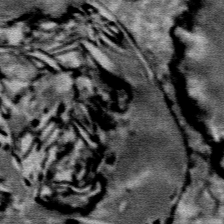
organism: Mouse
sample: Mouse Salivary gland